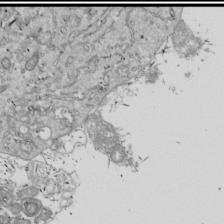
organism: Drosophila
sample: Cell division; meiosis; drosophila spermatocytes